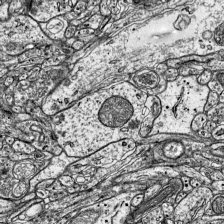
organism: Mouse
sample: Visual Cortex